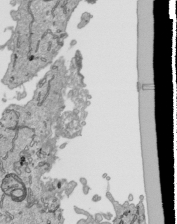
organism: Human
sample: Mitochondria in HCT116 cells